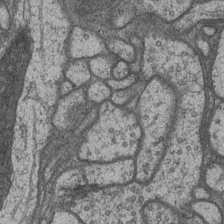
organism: Drosophila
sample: Optic medulla